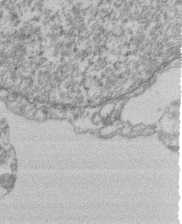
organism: Mouse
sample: T cell stromal cell synapse